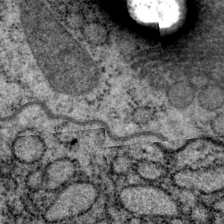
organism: P. pacificus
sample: Pharynx